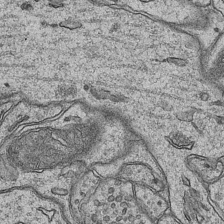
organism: Mouse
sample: CA1 Hippocampus